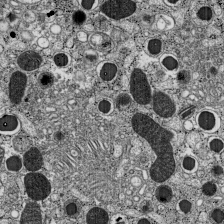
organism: C57BL Mouse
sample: Pancreatic islet